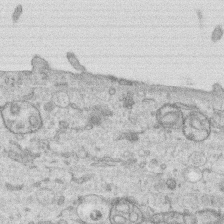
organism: Human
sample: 1205lu cells